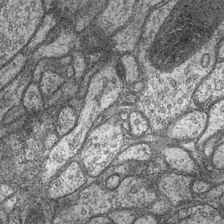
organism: Drosophila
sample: Optic medulla